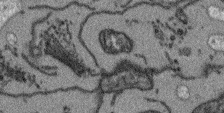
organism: Arabidopsis thaliana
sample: Root tip